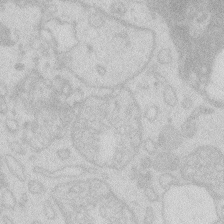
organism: Zebrafish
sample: Macrophage